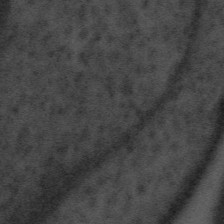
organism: Tuwongella immobilis